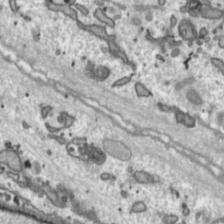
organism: Toxoplasma gondii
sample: Parasites in a vacuole inside a host cell